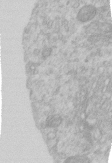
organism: Human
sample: Centriole in RPE cells